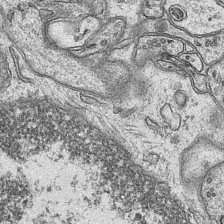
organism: Mouse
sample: CA1 Hippocampus